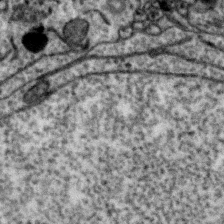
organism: Zebra finch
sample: Brain